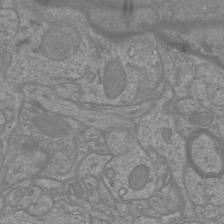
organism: Mouse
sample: Cortical neurons